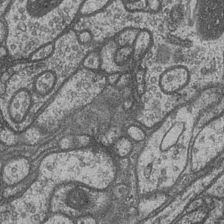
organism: Drosophila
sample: Optic medulla